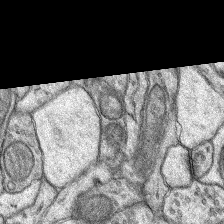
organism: Rat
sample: Hippocampus